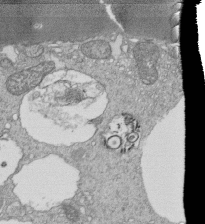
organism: Tetrahymena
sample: Cilia in tetrahymena